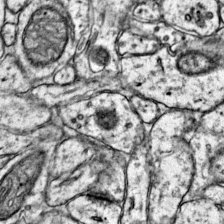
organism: Mouse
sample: Primary visual cortex